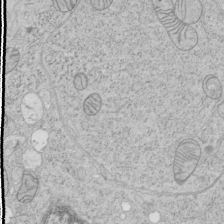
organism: Human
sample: Mitochondria in HCT116 cells